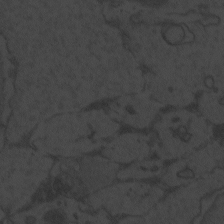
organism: Zebrafish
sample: Macrophage infected with Toxoplasma gondii